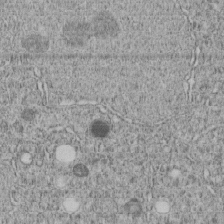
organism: C. elegans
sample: C. elegans embryo early stage